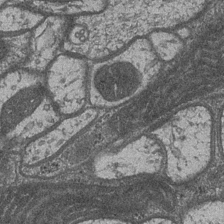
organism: Drosophila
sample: Optic medulla